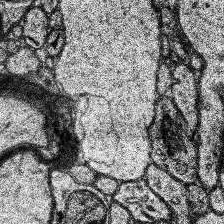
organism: Human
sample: Temporal Lobe